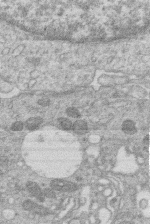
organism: Human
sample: Macrophage cells